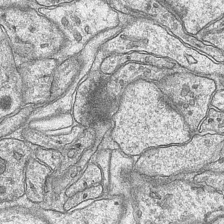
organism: Mouse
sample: CA1 Hippocampus